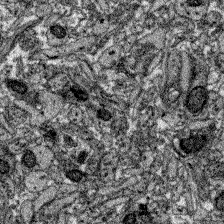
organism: Zebrafish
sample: Larval olfactory bulb